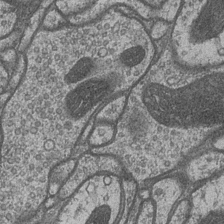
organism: Drosophila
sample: Optic medulla